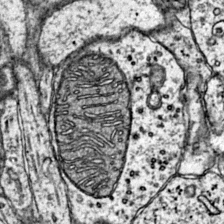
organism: Mouse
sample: Primary visual cortex